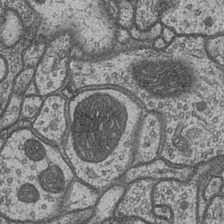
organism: Drosophila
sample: Optic medulla